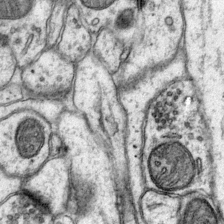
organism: Mouse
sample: Primary visual cortex